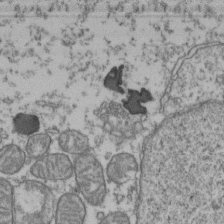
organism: Human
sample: Activated Jurkat CD4+ T cells